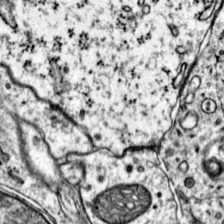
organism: Mouse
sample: Primary visual cortex